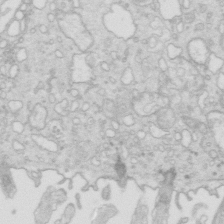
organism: Mouse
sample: Multiciliated cells